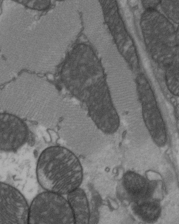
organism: C57BL Mouse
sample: Heart